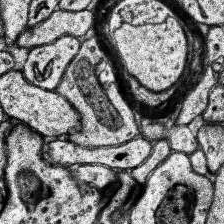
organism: Human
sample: Temporal Lobe